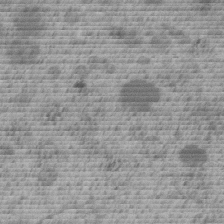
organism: C. elegans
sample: C. elegans embryo early stage